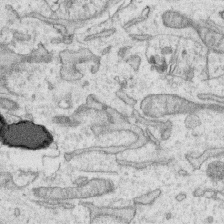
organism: Human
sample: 1205lu cells